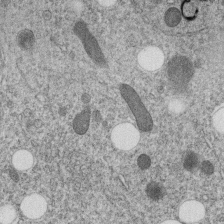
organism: C. elegans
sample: C. elegans embryo early stage